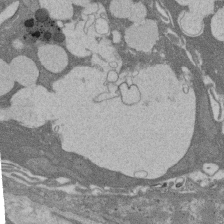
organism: Rat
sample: Salivary granule